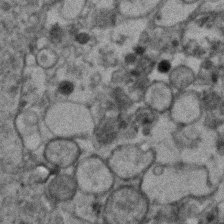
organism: Human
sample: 1205lu cells